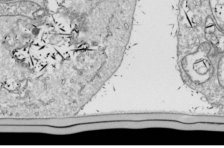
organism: Drosophila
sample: Cell division; meiosis; drosophila spermatocytes